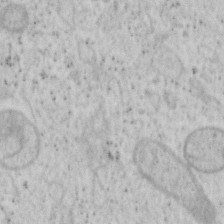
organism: Human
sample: HeLa cells